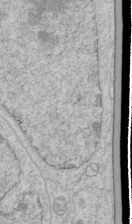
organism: Human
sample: Mitochondria in HCT116 cells